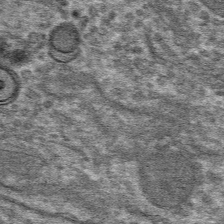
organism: Mouse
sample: Mouse hepatocytes